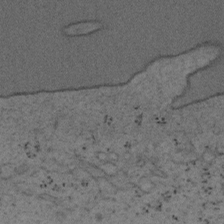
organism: Human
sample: HeLa cells